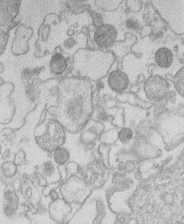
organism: Human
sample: Macrophage cells